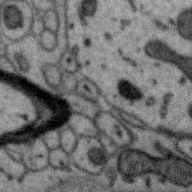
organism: Zebra finch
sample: Brain